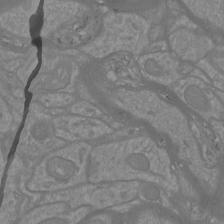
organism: Mouse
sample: Cortical neurons